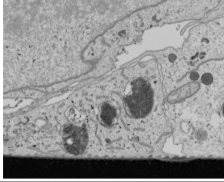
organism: Human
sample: Mitochondria in U2OS cells